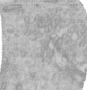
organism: Human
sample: Centriole in RPE cells